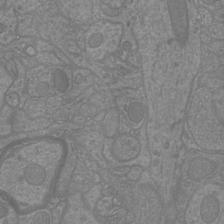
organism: Mouse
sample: Cortical neurons